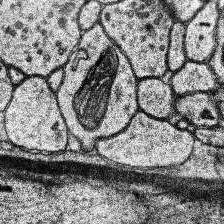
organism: Human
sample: Temporal Lobe